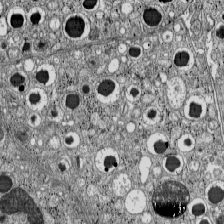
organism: C57BL Mouse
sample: Pancreatic islet